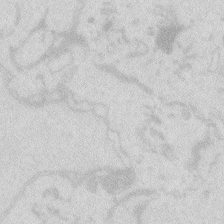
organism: Zebrafish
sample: Macrophage